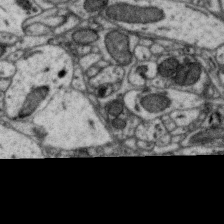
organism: Zebra finch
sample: Brain